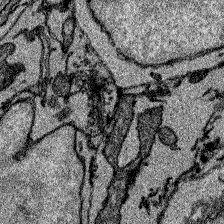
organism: Zebrafish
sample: Larval olfactory bulb